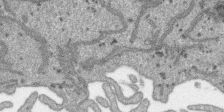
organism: Human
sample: Lung epithelial cells infected with SARS-CoV-2